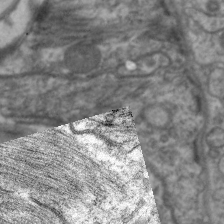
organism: C. elegans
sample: Pharynx